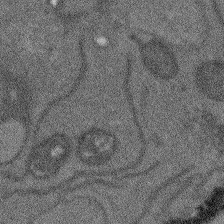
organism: Arabidopsis thaliana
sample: Root tip